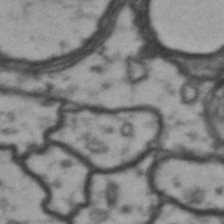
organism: Drosophila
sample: Brain